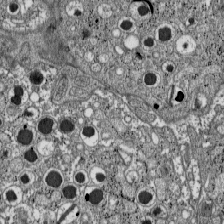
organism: C57BL Mouse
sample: Pancreatic islet